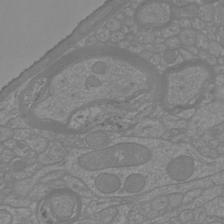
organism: Mouse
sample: Cortical neurons